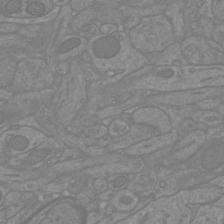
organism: Mouse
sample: Cortical neurons